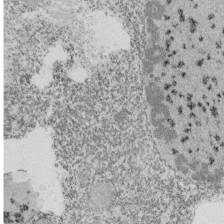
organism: Tetrahymena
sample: Cilia in tetrahymena